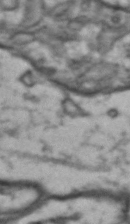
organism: Drosophila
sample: Brain